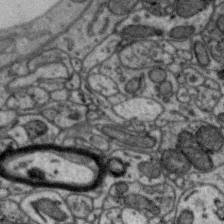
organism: Zebra finch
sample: Brain